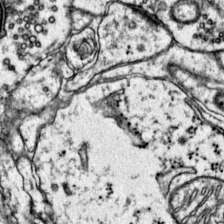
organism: Mouse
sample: Primary visual cortex